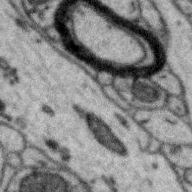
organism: Zebra finch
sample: Brain